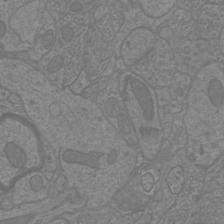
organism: Mouse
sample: Cortical neurons